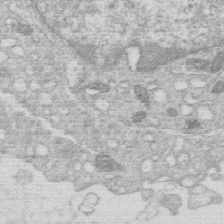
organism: Human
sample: Macrophage cells